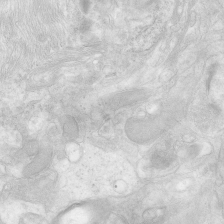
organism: Human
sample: Neocortex